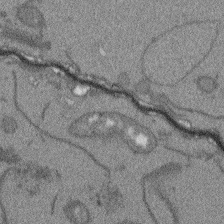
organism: Arabidopsis thaliana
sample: Root tip